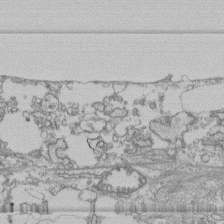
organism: Human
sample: Fibroblast cells